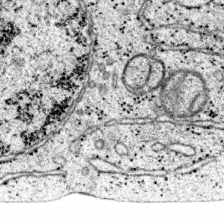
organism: Human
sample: HeLa cells